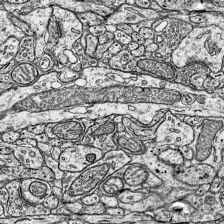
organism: Mouse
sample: Visual Cortex